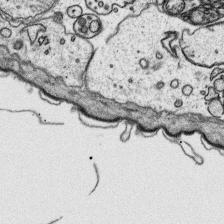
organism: Platynereis dumerilii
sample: Parapodia